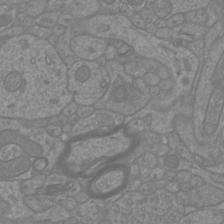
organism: Mouse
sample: Cortical neurons